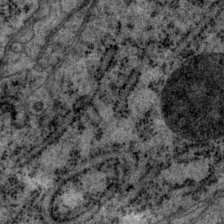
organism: P. pacificus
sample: Pharynx